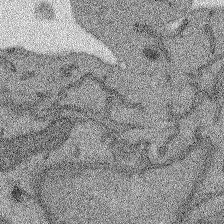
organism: Human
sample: HeLa cells